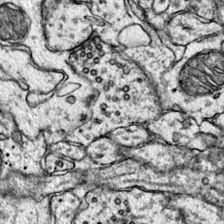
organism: Mouse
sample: Primary visual cortex